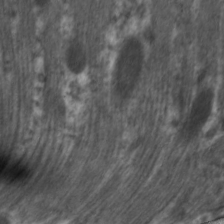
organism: C. elegans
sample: Pharynx